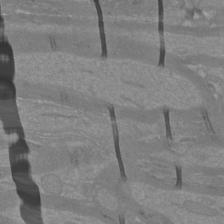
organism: Mouse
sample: Cortical neurons